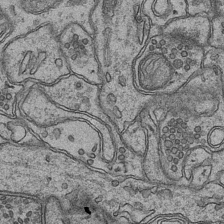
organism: Mouse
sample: CA1 Hippocampus